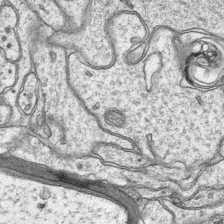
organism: Mouse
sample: CA1 Hippocampus